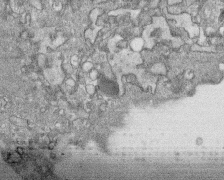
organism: Human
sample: CRL-1474